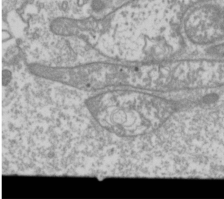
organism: Drosophila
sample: Cell division; meiosis; drosophila spermatocytes